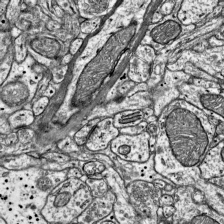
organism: Mouse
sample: Visual Cortex